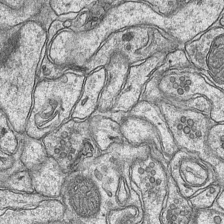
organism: Mouse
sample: CA1 Hippocampus